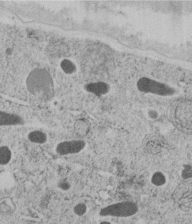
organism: C. elegans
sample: C. elegans embryo early stage